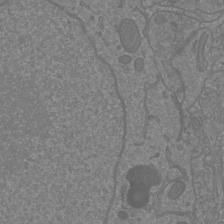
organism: Mouse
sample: Cortical neurons